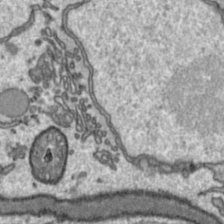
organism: Toxoplasma gondii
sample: Parasites in a vacuole inside a host cell